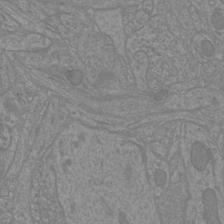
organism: Mouse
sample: Cortical neurons